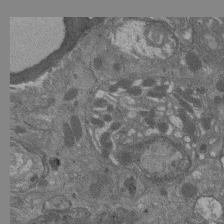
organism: Drosophila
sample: Antenna